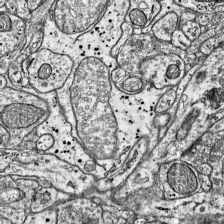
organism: Mouse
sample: Visual Cortex